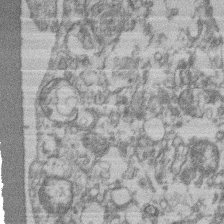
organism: Mouse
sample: T cell stromal cell synapse